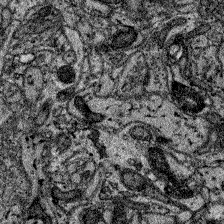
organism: Zebrafish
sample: Larval olfactory bulb